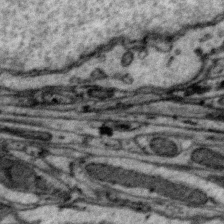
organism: Zebra finch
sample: Brain